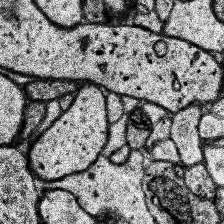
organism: Human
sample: Temporal Lobe